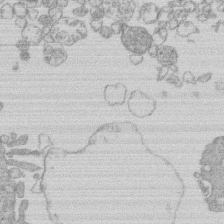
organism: Human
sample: Macrophage cells